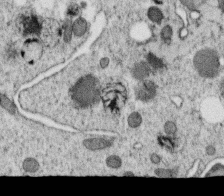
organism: C. elegans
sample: C. elegans oocyte; sperm cells